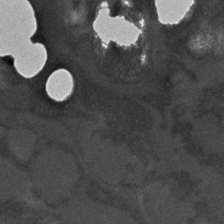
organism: C. elegans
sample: C. elegans embryo